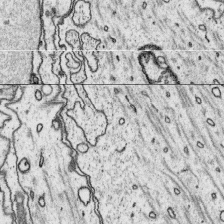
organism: Platynereis dumerilii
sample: Parapodia